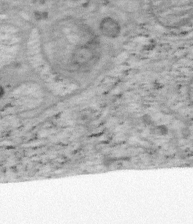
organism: Mouse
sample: OT-I killer T cells with ID8 ovarian cancer cells